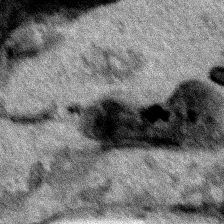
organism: Human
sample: Mitochondria in HCT116 cells